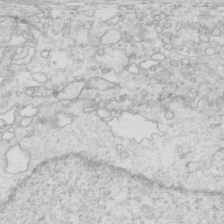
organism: Mouse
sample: Multiciliated cells